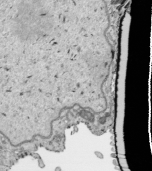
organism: Human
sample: Mitochondria in HCT116 cells